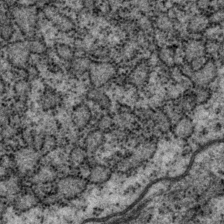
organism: P. pacificus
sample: Pharynx